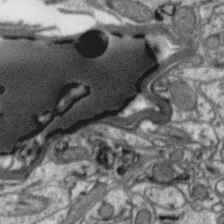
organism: Zebra finch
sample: Brain